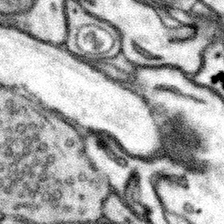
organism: Mouse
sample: Somatosensory cortex neuropil